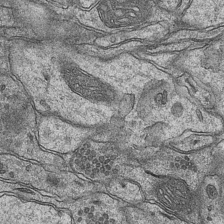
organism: Mouse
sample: CA1 Hippocampus